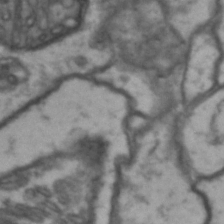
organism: Drosophila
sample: Brain